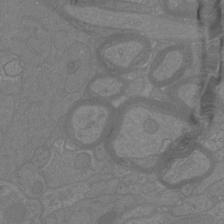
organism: Mouse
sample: Cortical neurons